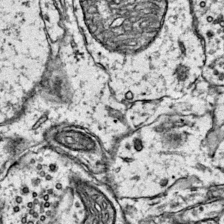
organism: Mouse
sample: Primary visual cortex